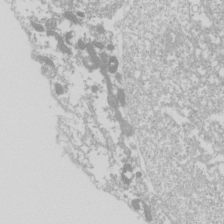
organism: Drosophila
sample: Cell division; meiosis; drosophila spermatocytes